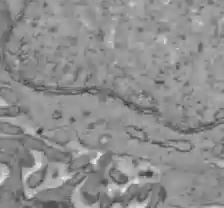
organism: C57BL Mouse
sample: Liver